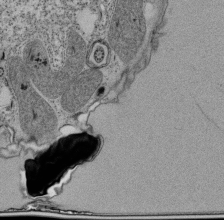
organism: Tetrahymena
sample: Cilia in tetrahymena